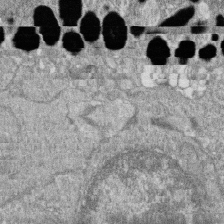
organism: Zebrafish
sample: Cilia; retinal pigment epithelium